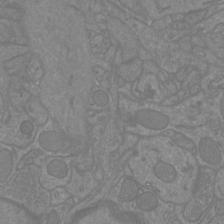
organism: Mouse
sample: Cortical neurons